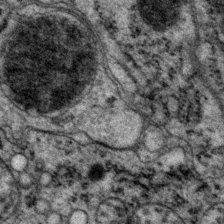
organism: P. pacificus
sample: Pharynx